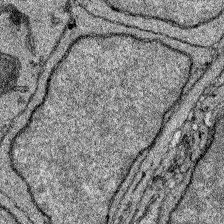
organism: Zebrafish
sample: Larval olfactory bulb